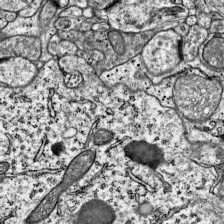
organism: Mouse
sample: Visual Cortex